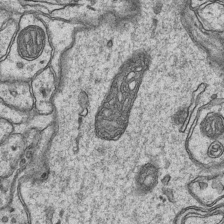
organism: Mouse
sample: CA1 Hippocampus